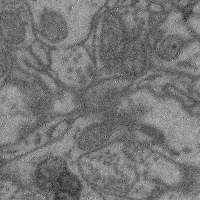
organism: Mouse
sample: Cerebral cortex